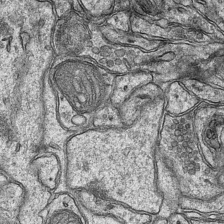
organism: Mouse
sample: CA1 Hippocampus